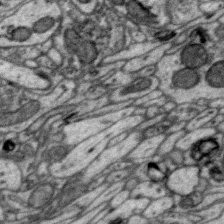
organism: Zebra finch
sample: Brain